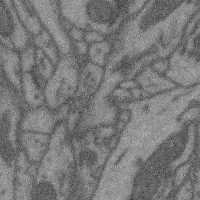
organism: Mouse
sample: Cerebral cortex